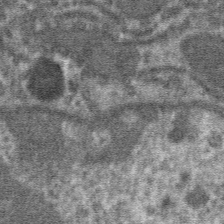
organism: Mouse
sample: Mouse hepatocytes